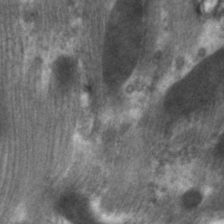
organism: C. elegans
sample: Pharynx